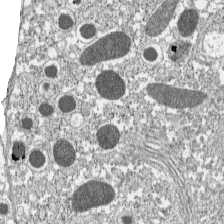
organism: C57BL Mouse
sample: Pancreatic islet